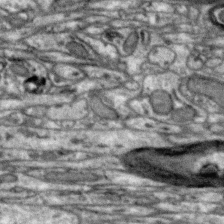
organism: Zebra finch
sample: Brain